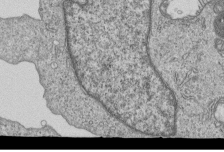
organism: Human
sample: MDA-MB-231 cells